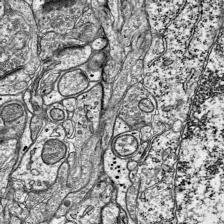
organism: Mouse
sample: Visual Cortex